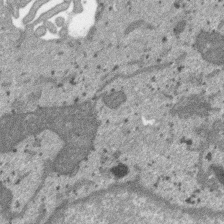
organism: Human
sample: Lung epithelial cells infected with SARS-CoV-2